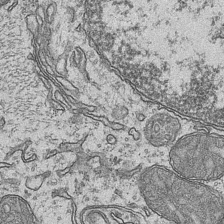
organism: Mouse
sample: CA1 Hippocampus